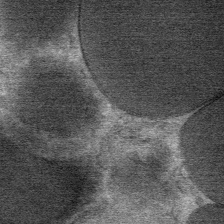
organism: Mouse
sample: Mouse Salivary gland